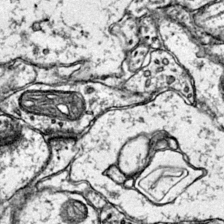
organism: Mouse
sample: Primary visual cortex